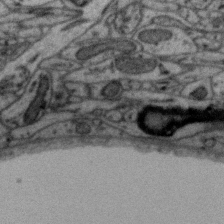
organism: Zebra finch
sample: Brain